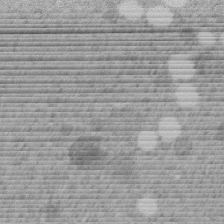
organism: C. elegans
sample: C. elegans embryo early stage